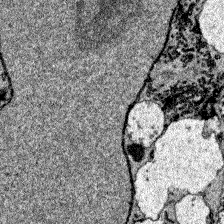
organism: Zebrafish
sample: Larval olfactory bulb